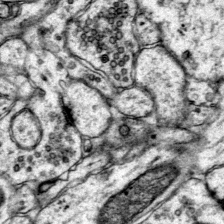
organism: Mouse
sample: Primary visual cortex